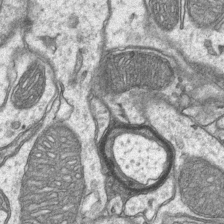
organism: Mouse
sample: CA1 Hippocampus